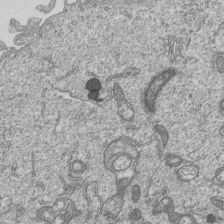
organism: Human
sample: MDA-MB-231 cells